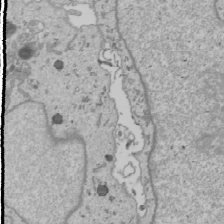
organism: Human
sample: Mitochondria in U2OS cells